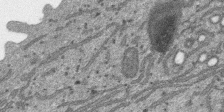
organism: Human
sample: Lung epithelial cells infected with SARS-CoV-2